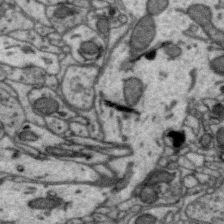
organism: Zebra finch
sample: Brain